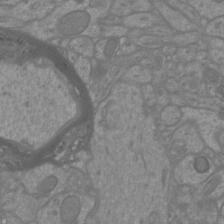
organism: Mouse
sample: Cortical neurons